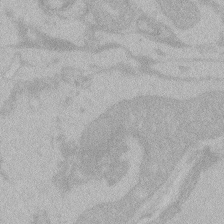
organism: Zebrafish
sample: Macrophage infected with Toxoplasma gondii